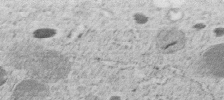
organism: C. elegans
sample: C. elegans embryo early stage